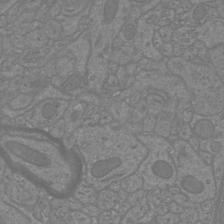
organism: Mouse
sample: Cortical neurons